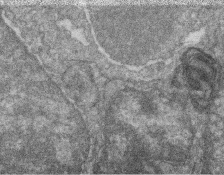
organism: Zebrafish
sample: Cilia; retinal pigment epithelium